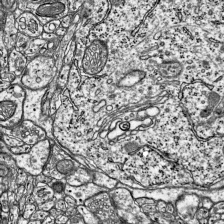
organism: Mouse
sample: Visual Cortex